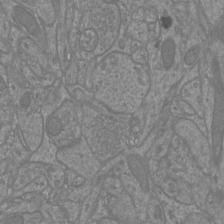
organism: Mouse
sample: Cortical neurons